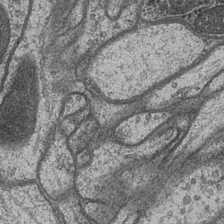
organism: Drosophila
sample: Optic medulla